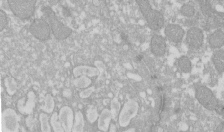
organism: Xenopus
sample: Cilia; centrioles in frog embryo cells